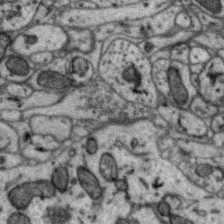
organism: Zebra finch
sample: Brain